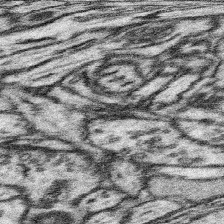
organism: Mouse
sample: Somatosensory cortex neuropil